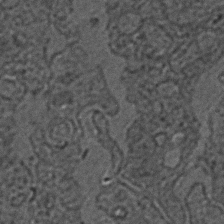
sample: Trachea